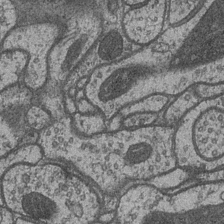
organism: Drosophila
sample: Optic medulla